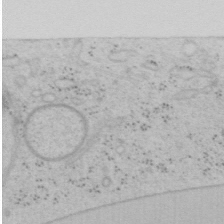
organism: Human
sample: HeLa cells